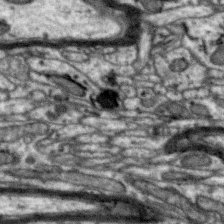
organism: Zebra finch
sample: Brain